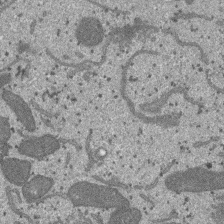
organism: Human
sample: Lung epithelial cells infected with SARS-CoV-2